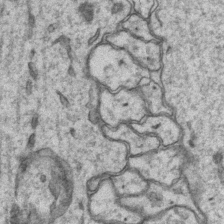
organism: Mouse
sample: CA1 Hippocampus